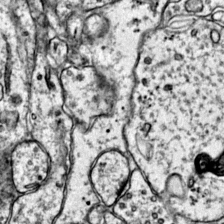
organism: Mouse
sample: Primary visual cortex